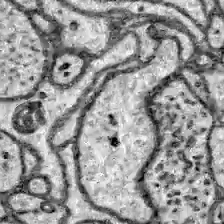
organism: Zebrafish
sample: Brain